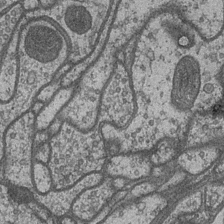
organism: Drosophila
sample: Optic medulla